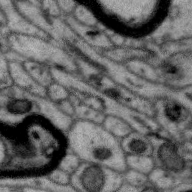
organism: Zebra finch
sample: Brain